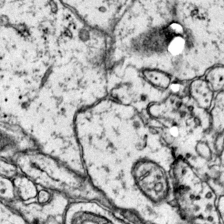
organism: Mouse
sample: Primary visual cortex